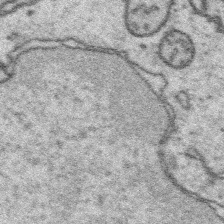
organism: Platynereis dumerilii